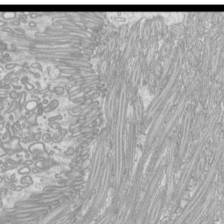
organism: Mouse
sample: Cilia; mouse epididymis